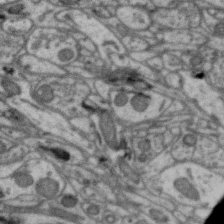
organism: Zebra finch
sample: Brain